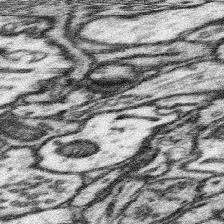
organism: Mouse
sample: Somatosensory cortex neuropil